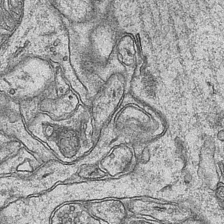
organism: Mouse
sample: CA1 Hippocampus